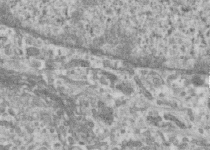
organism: Human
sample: Centriole in RPE cells